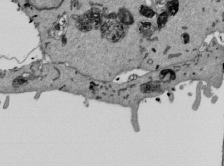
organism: Mouse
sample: ED-1 cell nuclei; centrioles